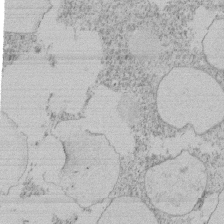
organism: Tetrahymena